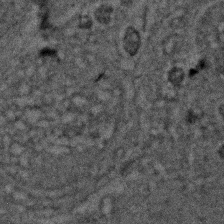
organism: Zebrafish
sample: Zebrafish embryo